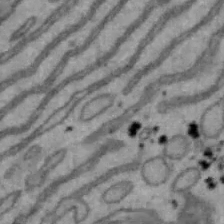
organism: Mouse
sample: Liver